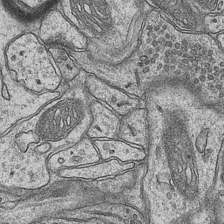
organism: Mouse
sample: CA1 Hippocampus